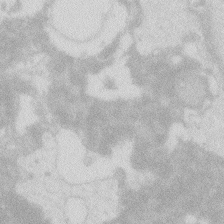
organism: Zebrafish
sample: Macrophage